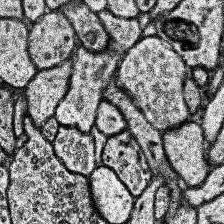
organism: Human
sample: Temporal Lobe